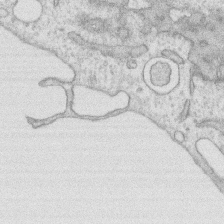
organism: Human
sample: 1205lu cells